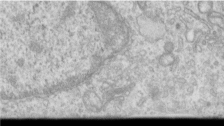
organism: Human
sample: Centriole in RPE cells